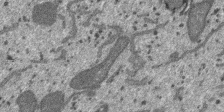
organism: Human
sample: Lung epithelial cells infected with SARS-CoV-2